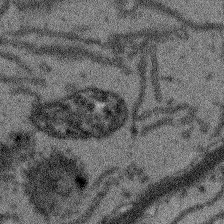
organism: Arabidopsis thaliana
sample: Root tip